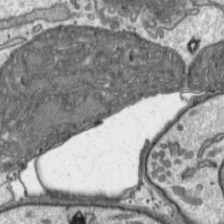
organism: Toxoplasma gondii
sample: Parasites in a vacuole inside a host cell